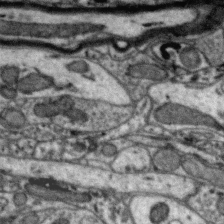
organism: Zebra finch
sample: Brain